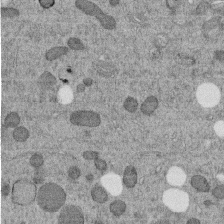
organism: C. elegans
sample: C. elegans embryo early stage